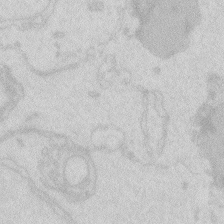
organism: Zebrafish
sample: Macrophage